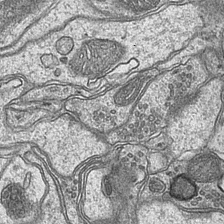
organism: Mouse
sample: CA1 Hippocampus